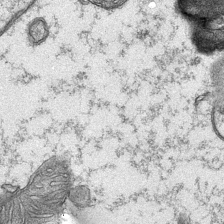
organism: Mouse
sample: CA1 Hippocampus